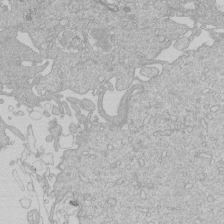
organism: Human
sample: Macrophage cells